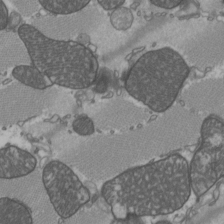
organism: C57BL Mouse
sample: Heart